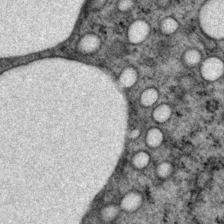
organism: P. pacificus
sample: Pharynx